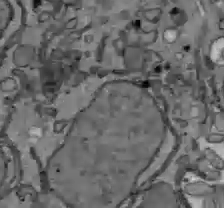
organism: C57BL Mouse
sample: Liver